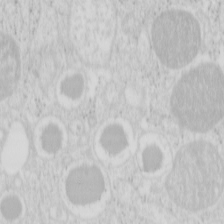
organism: Mouse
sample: Pancreas